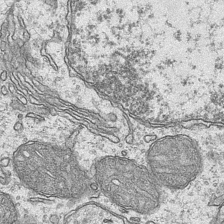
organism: Mouse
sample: CA1 Hippocampus